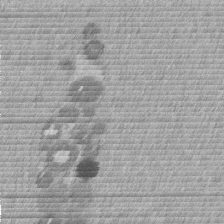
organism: Mouse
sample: Dividing mouse embryo 1 cell stage